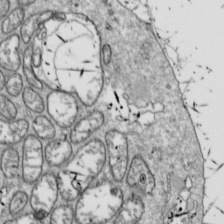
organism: Drosophila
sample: Cell division; meiosis; drosophila spermatocytes